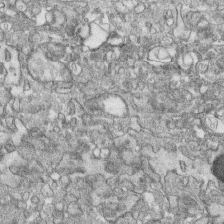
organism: Human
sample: CRL-1474